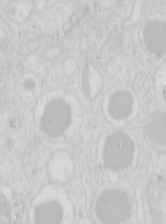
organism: Mouse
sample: Pancreas